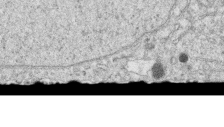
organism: Human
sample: HeLa cell HIV synapse